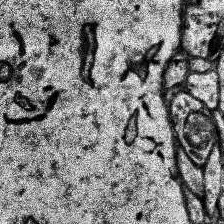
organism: Human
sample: Temporal Lobe